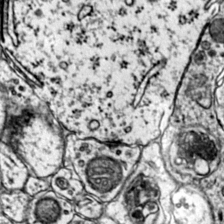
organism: Mouse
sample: Primary visual cortex